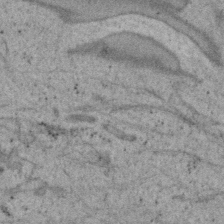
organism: Human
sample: HeLa cells